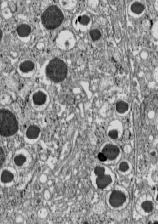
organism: C57BL Mouse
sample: Pancreatic islet